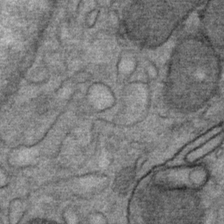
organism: Mouse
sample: Mouse Salivary gland